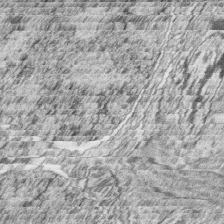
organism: Zebrafish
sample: synaptic ribbons in rod cells and cone cells